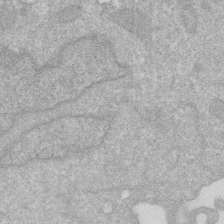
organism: Human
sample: HIV infected U937 cells